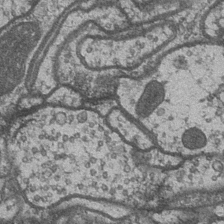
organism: Drosophila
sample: Optic medulla